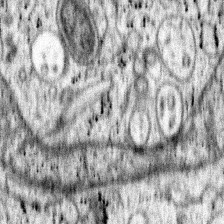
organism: Human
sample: HeLa cells